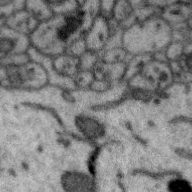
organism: Zebra finch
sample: Brain